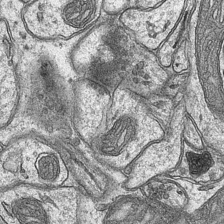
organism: Mouse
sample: CA1 Hippocampus